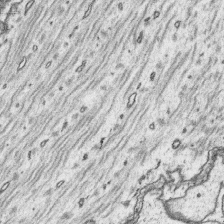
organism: Platynereis dumerilii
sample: Parapodia